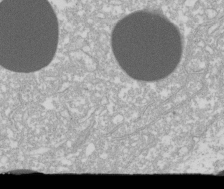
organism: Xenopus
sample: Cilia; centrioles in frog embryo cells